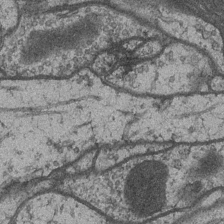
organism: Drosophila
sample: Optic medulla